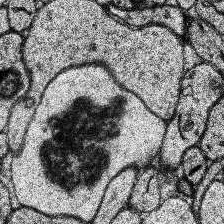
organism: Human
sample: Temporal Lobe